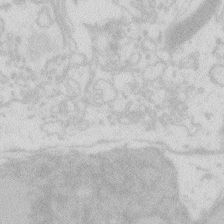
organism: Zebrafish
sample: Macrophage